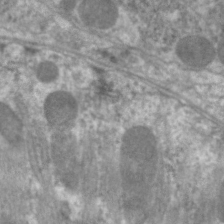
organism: C. elegans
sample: Pharynx